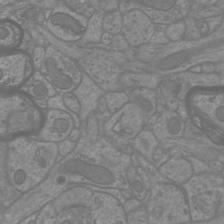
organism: Mouse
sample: Cortical neurons